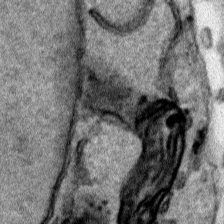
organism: Human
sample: Mitochondria in HCT116 cells